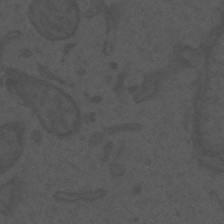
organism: Mouse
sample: Suprachiasmatic nucleus